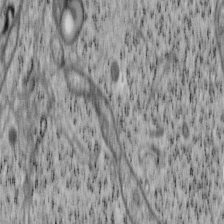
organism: Human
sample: HeLa cells